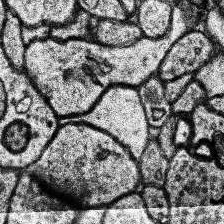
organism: Human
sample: Temporal Lobe